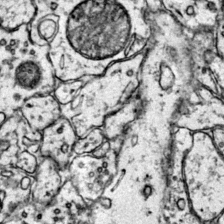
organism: Mouse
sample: Primary visual cortex